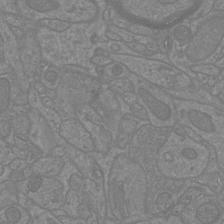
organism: Mouse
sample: Cortical neurons